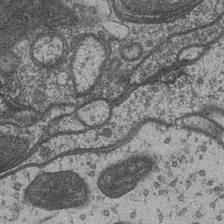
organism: Drosophila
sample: Optic medulla